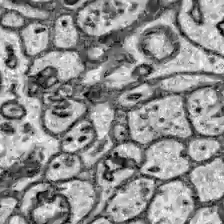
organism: Zebrafish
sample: Brain